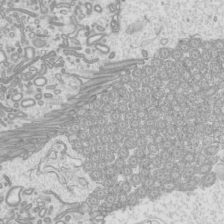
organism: Mouse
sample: Cilia; mouse epididymis